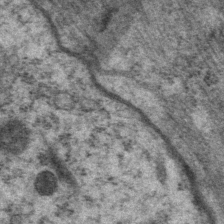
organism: P. pacificus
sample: Pharynx